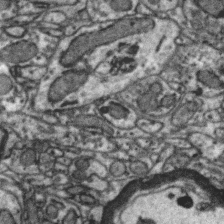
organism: Zebra finch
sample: Brain